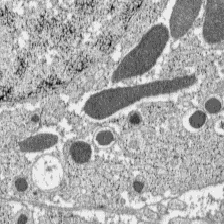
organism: C57BL Mouse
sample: Pancreatic islet